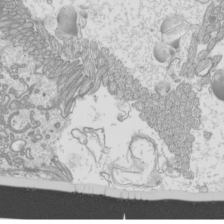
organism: Mouse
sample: Cilia; mouse epididymis